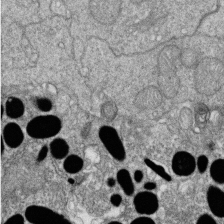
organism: Zebrafish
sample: Cilia; retinal pigment epithelium